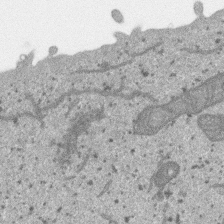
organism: Human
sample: Lung epithelial cells infected with SARS-CoV-2